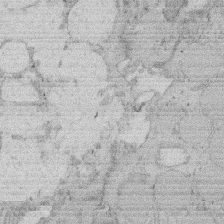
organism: Rat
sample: Salivary granule